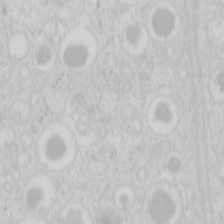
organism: Mouse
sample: Pancreas